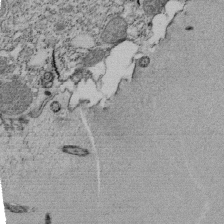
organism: Tetrahymena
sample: Cilia in tetrahymena